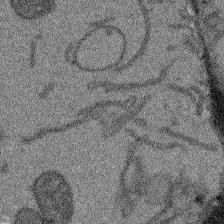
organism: Arabidopsis thaliana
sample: Root tip